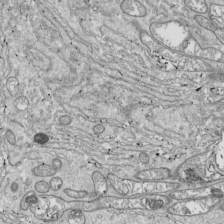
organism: Drosophila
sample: Cell division; meiosis; drosophila spermatocytes